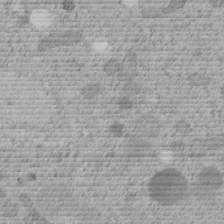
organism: C. elegans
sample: C. elegans embryo early stage